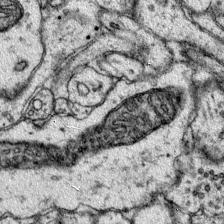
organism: Mouse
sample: Primary visual cortex